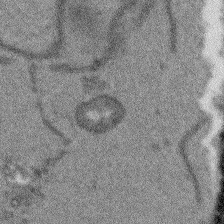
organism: Arabidopsis thaliana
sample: Root tip